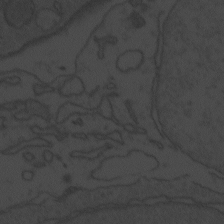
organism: Zebrafish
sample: Macrophage infected with Toxoplasma gondii